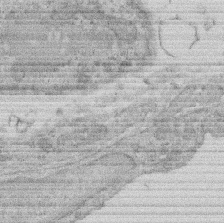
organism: Rat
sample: Salivary granule